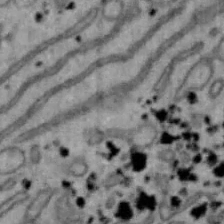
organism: Mouse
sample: Liver